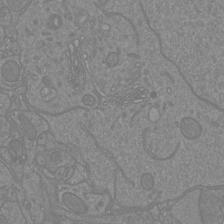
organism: Mouse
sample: Cortical neurons